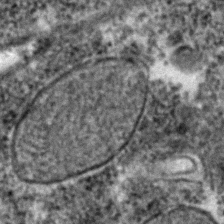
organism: Zebrafish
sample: Zebrafish embryo